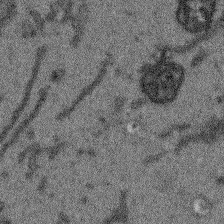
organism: Arabidopsis thaliana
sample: Root tip